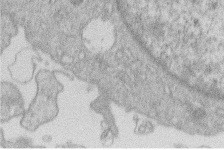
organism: Human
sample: Macrophage cells